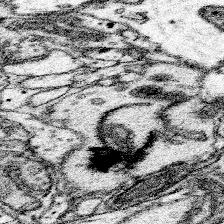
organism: Mouse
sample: Somatosensory cortex neuropil